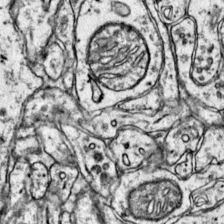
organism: Mouse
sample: Primary visual cortex